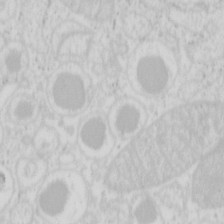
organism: Mouse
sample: Pancreas